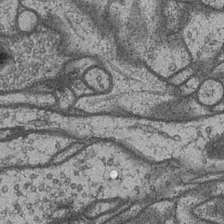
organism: Drosophila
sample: Optic medulla